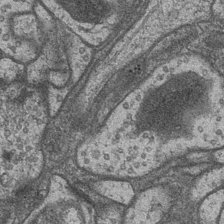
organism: Drosophila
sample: Optic medulla